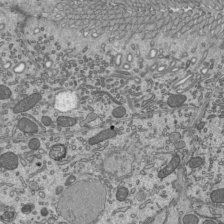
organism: Mouse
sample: Mouse epididymis efferent ductule cilia